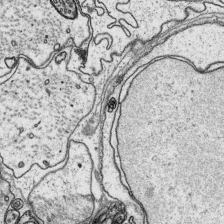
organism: Platynereis dumerilii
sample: Parapodia